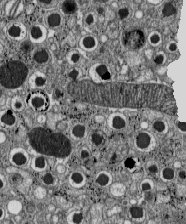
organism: C57BL Mouse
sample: Pancreatic islet